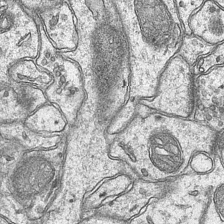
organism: Mouse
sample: CA1 Hippocampus